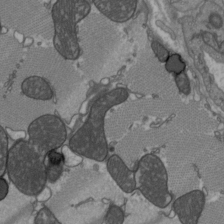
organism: C57BL Mouse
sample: Heart